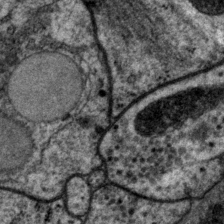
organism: P. pacificus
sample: Pharynx